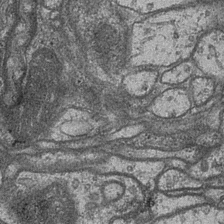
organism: Drosophila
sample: Optic medulla